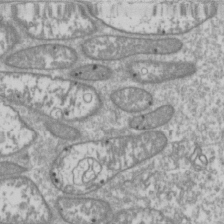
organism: Drosophila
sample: Cell division; meiosis; drosophila spermatocytes